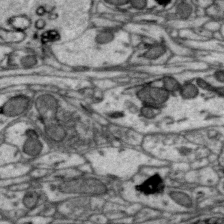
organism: Zebra finch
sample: Brain